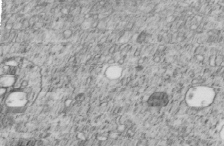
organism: C. elegans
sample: C. elegans embryo early stage